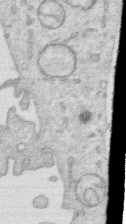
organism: Human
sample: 1205lu cells